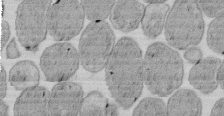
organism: E. coli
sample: Bacterial nucleoid